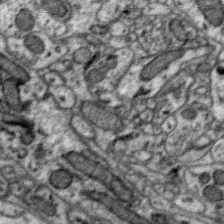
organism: Zebra finch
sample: Brain